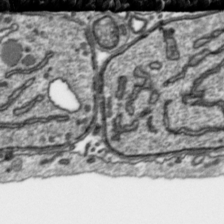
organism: Toxoplasma gondii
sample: Parasites in a vacuole inside a host cell